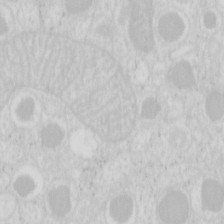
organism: Mouse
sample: Pancreas